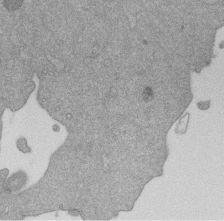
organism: Mouse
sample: Dividing mouse embryo 1 cell stage